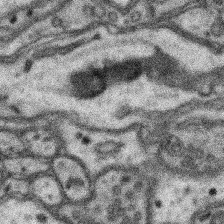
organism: Mouse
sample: Somatosensory cortex neuropil